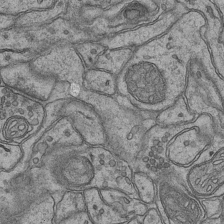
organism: Mouse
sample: CA1 Hippocampus